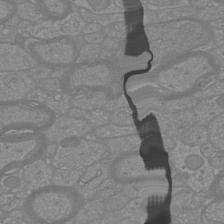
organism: Mouse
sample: Cortical neurons